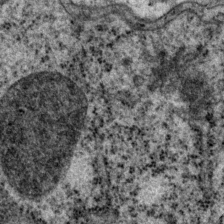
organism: P. pacificus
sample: Pharynx